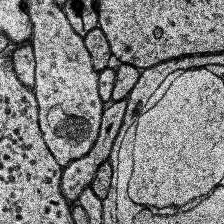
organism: Human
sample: Temporal Lobe